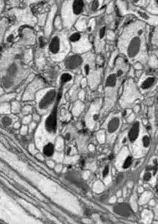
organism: Drosophila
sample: Optic lobe